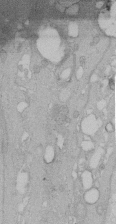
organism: Human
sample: Melanocyte Keratinocyte synapse skin construct